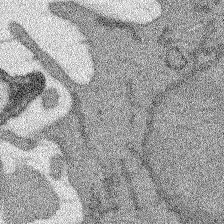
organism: Human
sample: HeLa cells